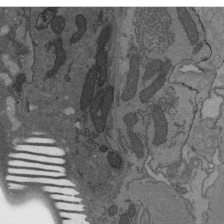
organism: C. elegans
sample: AFD neurons C. elegans